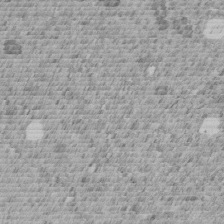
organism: C. elegans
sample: C. elegans embryo early stage